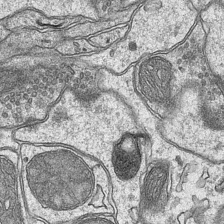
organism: Mouse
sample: CA1 Hippocampus